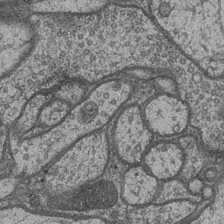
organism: Drosophila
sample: Optic medulla